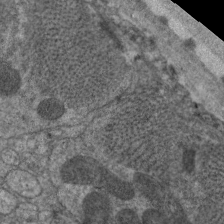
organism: C. elegans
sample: Pharynx